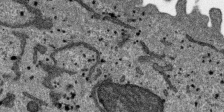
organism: Human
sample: Lung epithelial cells, uninfected (mock) control